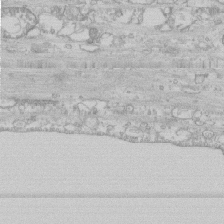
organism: Human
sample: CRL-1474